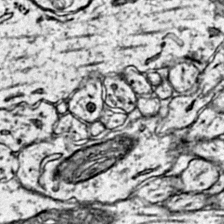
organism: Mouse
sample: Primary visual cortex